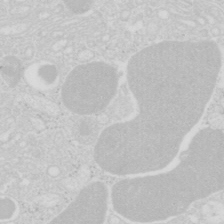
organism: Mouse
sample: Pancreas